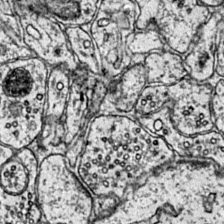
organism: Mouse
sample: Primary visual cortex